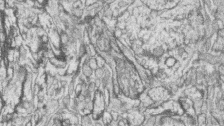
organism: Zebrafish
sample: synaptic ribbons in rod cells and cone cells